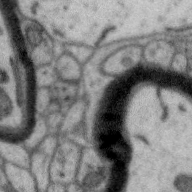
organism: Zebra finch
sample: Brain